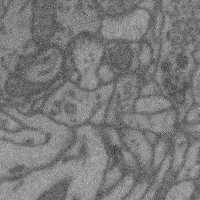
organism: Mouse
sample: Cerebral cortex